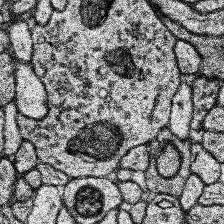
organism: Human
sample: Temporal Lobe